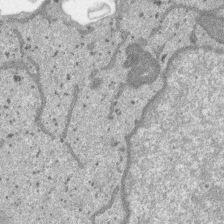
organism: Human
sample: Lung epithelial cells infected with SARS-CoV-2